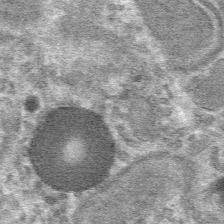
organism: Mouse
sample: Mouse hepatocytes